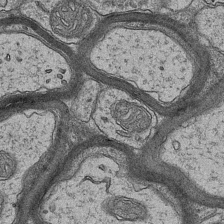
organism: Mouse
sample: CA1 Hippocampus